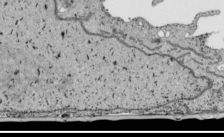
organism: Human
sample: Mitochondria in HCT116 cells